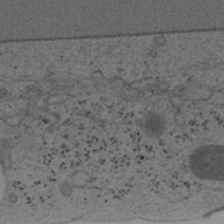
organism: Human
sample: HeLa cells